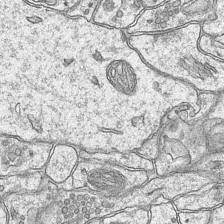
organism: Mouse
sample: CA1 Hippocampus